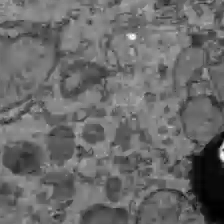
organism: C57BL Mouse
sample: Liver